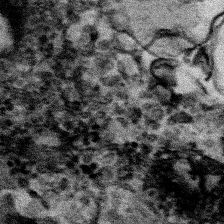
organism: Human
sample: Mitochondria in HCT116 cells